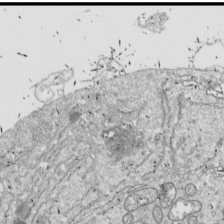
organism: Drosophila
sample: Cell division; meiosis; drosophila spermatocytes